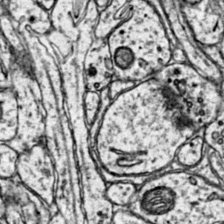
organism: Mouse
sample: Primary visual cortex